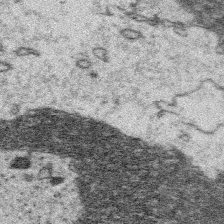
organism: Platynereis dumerilii